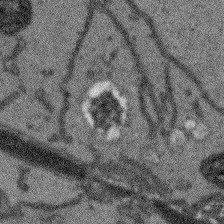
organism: Arabidopsis thaliana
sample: Root tip